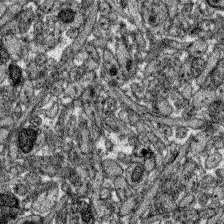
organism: Zebrafish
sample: Larval olfactory bulb